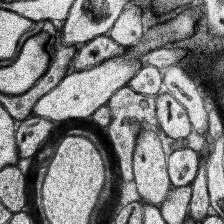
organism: Human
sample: Temporal Lobe